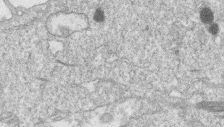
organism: Human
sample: HeLa cell HIV synapse